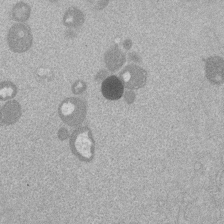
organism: Mouse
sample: Dividing mouse embryo 1 cell stage